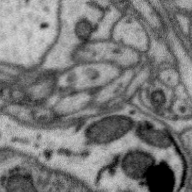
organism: Zebra finch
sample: Brain